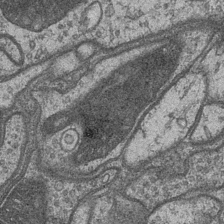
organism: Drosophila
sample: Optic medulla